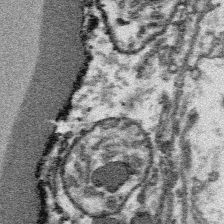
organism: Platynereis dumerilii